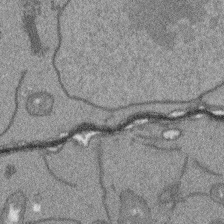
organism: Arabidopsis thaliana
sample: Root tip